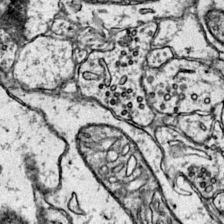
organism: Mouse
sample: Primary visual cortex